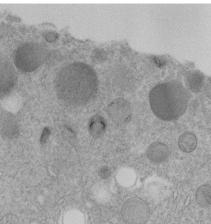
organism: C. elegans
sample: C. elegans embryo early stage